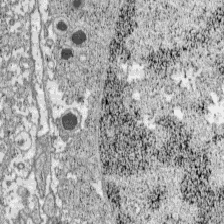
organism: C57BL Mouse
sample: Pancreatic islet